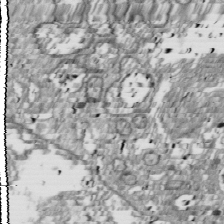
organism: Drosophila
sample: Cell division; meiosis; drosophila spermatocytes